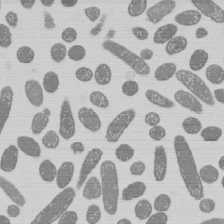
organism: E. coli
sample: Bacterial nucleoid